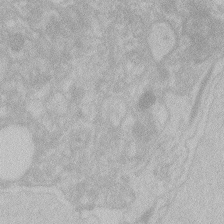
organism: Zebrafish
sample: Macrophage infected with Toxoplasma gondii